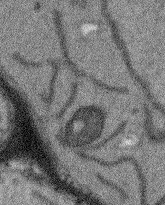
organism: Arabidopsis thaliana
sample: Root tip